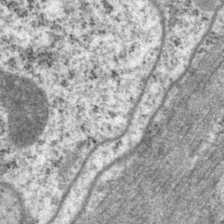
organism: P. pacificus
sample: Pharynx